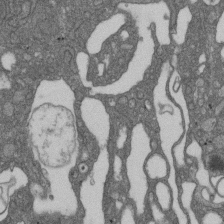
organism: Drosophila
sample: Nephrocyte